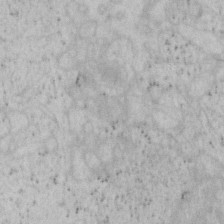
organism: Human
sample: HeLa cells